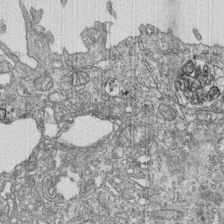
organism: Human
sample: HeLa cell HIV synapse